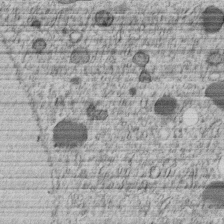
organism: C. elegans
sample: C. elegans embryo early stage